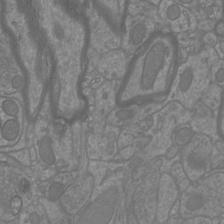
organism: Mouse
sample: Cortical neurons